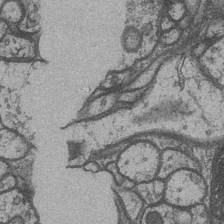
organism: Drosophila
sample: Optic medulla